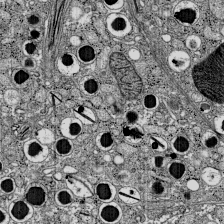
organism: C57BL Mouse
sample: Pancreatic islet